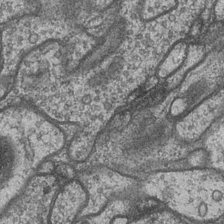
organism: Drosophila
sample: Optic medulla